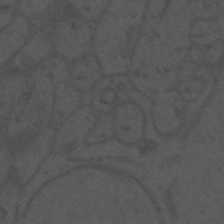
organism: Mouse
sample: Suprachiasmatic nucleus